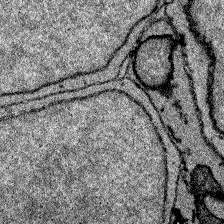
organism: Zebrafish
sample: Larval olfactory bulb